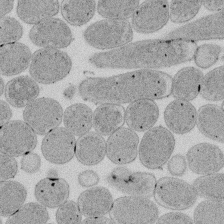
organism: E. coli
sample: Bacterial nucleoid